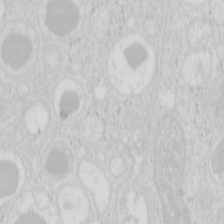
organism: Mouse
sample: Pancreas